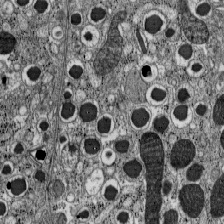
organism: C57BL Mouse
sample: Pancreatic islet